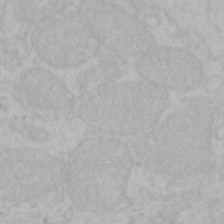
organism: Mouse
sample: Choroid plexus